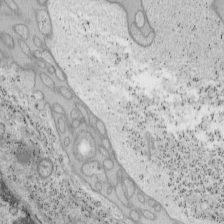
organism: Mouse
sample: OT-I killer T cells with ID8 ovarian cancer cells